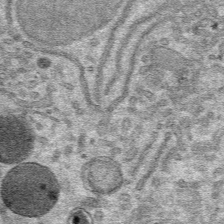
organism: Mouse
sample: Mouse hepatocytes